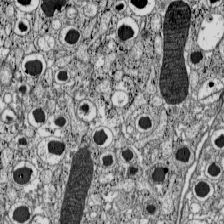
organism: C57BL Mouse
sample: Pancreatic islet